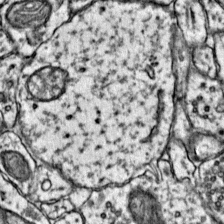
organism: Mouse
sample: Primary visual cortex